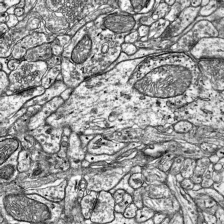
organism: Mouse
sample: Visual Cortex